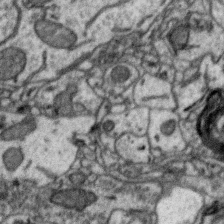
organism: Zebra finch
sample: Brain